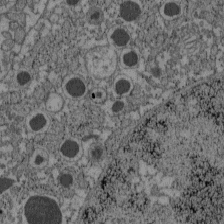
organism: C57BL Mouse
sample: Pancreatic islet